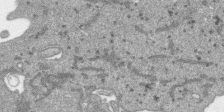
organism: Human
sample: Lung epithelial cells infected with SARS-CoV-2